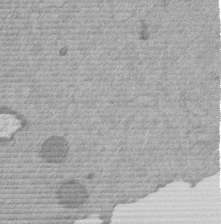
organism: Mouse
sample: Dividing mouse embryo 1 cell stage